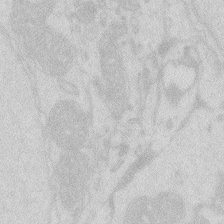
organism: Zebrafish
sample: Macrophage